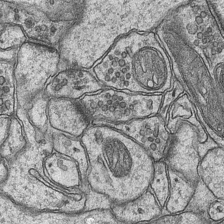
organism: Mouse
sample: CA1 Hippocampus